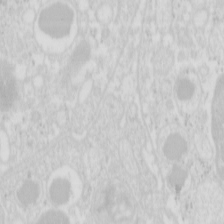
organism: Mouse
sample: Pancreas